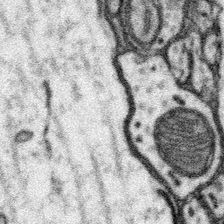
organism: Mouse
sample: Somatosensory cortex neuropil